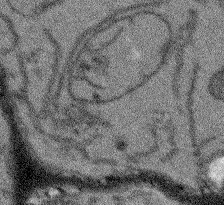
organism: Arabidopsis thaliana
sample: Root tip